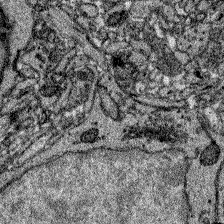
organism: Zebrafish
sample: Larval olfactory bulb